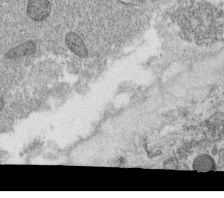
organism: C. elegans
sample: C. elegans oocyte; sperm cells